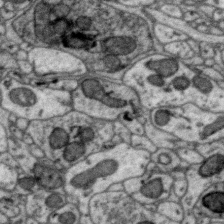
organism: Zebra finch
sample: Brain